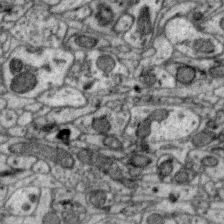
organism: Zebra finch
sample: Brain